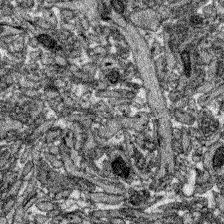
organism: Zebrafish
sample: Larval olfactory bulb